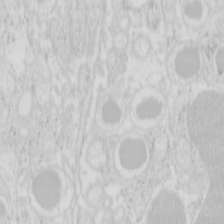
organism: Mouse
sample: Pancreas